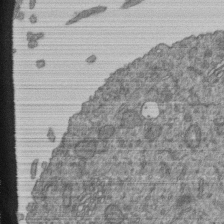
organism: Human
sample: Retinal organoid Rod and Cone cells